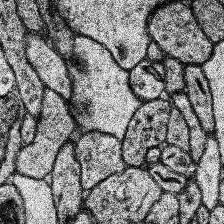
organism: Human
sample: Temporal Lobe